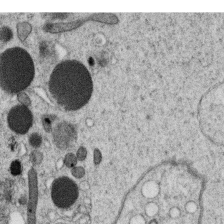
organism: C. elegans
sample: C. elegans oocyte; sperm cells